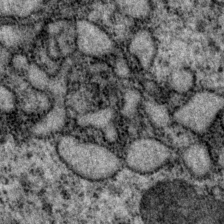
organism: P. pacificus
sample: Pharynx